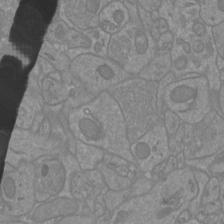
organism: Mouse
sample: Cortical neurons